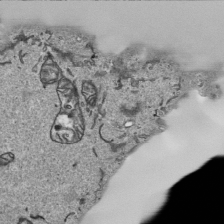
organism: Human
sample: Mitochondria in HCT116 cells